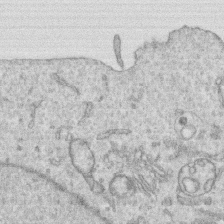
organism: Human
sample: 1205lu cells